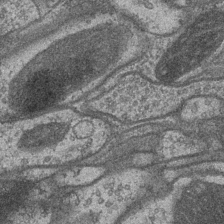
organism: Drosophila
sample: Optic medulla